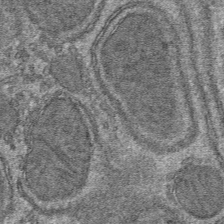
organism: Mouse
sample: Mouse hepatocytes